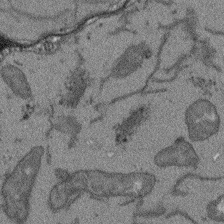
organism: Arabidopsis thaliana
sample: Root tip